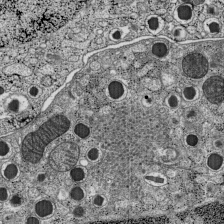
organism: C57BL Mouse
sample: Pancreatic islet